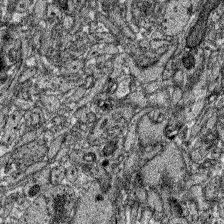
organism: Zebrafish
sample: Larval olfactory bulb